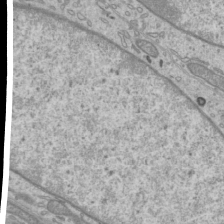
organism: Mouse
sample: Cilia; mouse epididymis